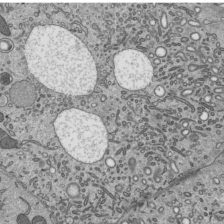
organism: Mouse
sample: Mouse epididymis efferent ductule cilia